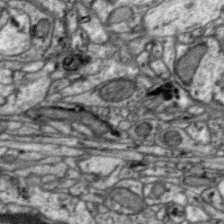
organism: Zebra finch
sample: Brain